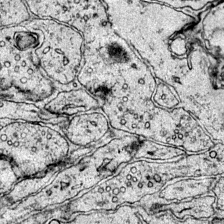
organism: Mouse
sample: Primary visual cortex